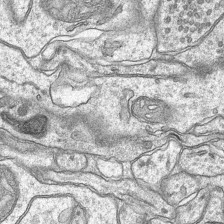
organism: Mouse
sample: CA1 Hippocampus